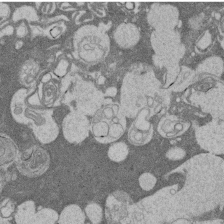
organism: Rat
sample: Salivary granule